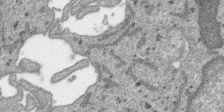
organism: Human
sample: Lung epithelial cells infected with SARS-CoV-2